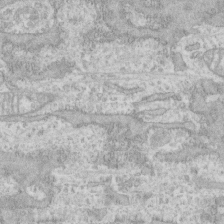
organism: Human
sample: CRL-1474